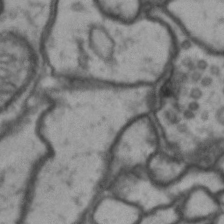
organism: Drosophila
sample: Brain